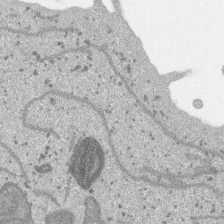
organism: Human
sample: Lung epithelial cells infected with SARS-CoV-2